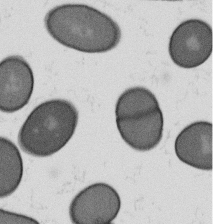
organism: B. subtilis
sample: Bacterial spore